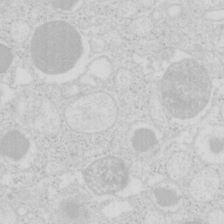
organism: Mouse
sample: Pancreas